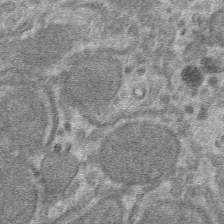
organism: Mouse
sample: Mouse hepatocytes